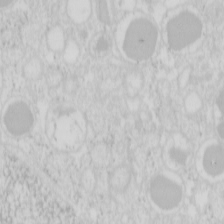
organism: Mouse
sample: Pancreas